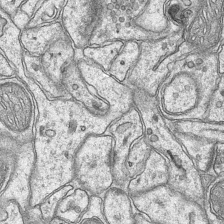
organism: Mouse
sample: CA1 Hippocampus